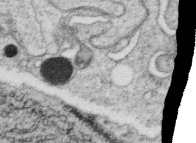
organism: C. elegans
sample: C. elegans oocyte; sperm cells